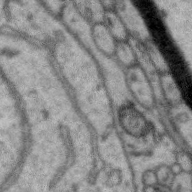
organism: Zebra finch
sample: Brain